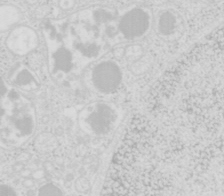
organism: Mouse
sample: Pancreas